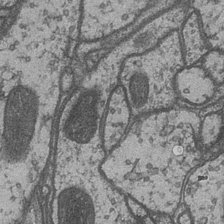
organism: Drosophila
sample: Optic medulla